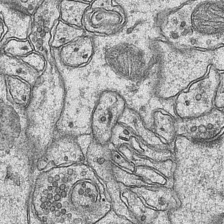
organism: Mouse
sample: CA1 Hippocampus